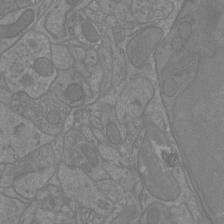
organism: Mouse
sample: Cortical neurons